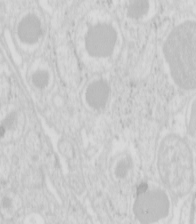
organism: Mouse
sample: Pancreas